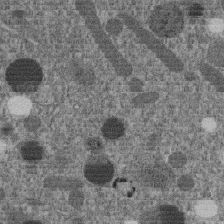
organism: C. elegans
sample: C. elegans embryo early stage